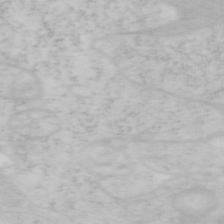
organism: Mouse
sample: OT-I killer T cells with ID8 ovarian cancer cells